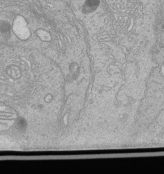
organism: Human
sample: Retinal organoid Rod and Cone cells